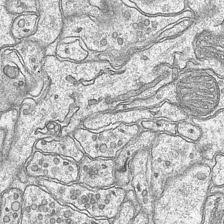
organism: Mouse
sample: CA1 Hippocampus